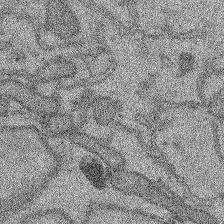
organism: Human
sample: HeLa cells